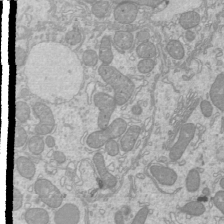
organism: Mouse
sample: Cilia; mouse epididymis